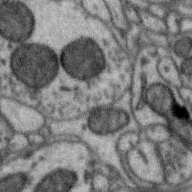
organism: Zebra finch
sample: Brain